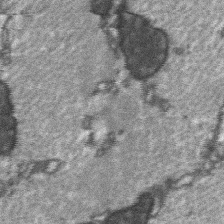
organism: C57BL Mouse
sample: Soleus